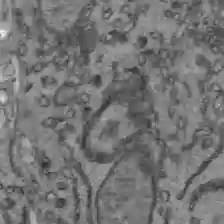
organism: C57BL Mouse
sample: Liver